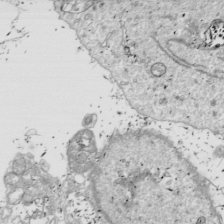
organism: Drosophila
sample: Cell division; meiosis; drosophila spermatocytes